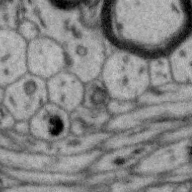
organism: Zebra finch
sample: Brain